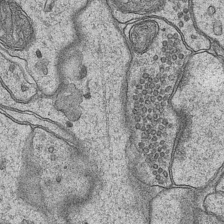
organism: Mouse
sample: CA1 Hippocampus